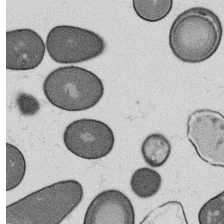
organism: B. subtilis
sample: Bacterial spore